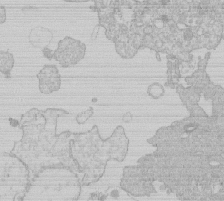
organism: Human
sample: Macrophage cells